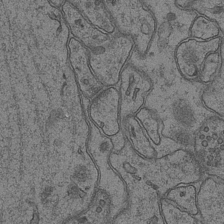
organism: Mouse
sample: CA1 Hippocampus